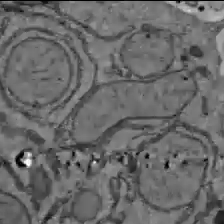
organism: C57BL Mouse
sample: Liver